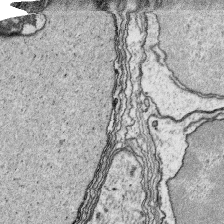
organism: Platynereis dumerilii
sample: Parapodia